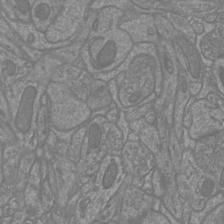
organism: Mouse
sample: Cortical neurons